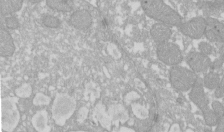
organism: Xenopus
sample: Cilia; centrioles in frog embryo cells